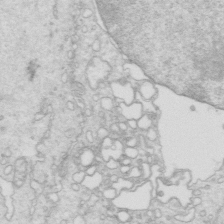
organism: Mouse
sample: Multiciliated cells